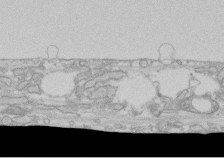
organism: Human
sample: CRL-1474